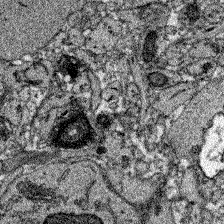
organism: Zebrafish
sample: Larval olfactory bulb